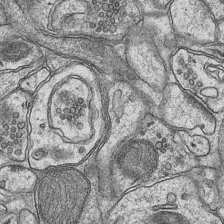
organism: Mouse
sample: CA1 Hippocampus